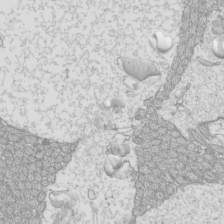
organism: Mouse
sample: Cilia; mouse epididymis